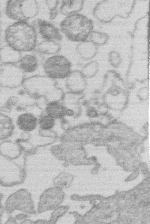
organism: Human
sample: Macrophage cells